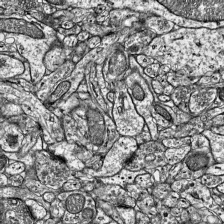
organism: Mouse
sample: Visual Cortex